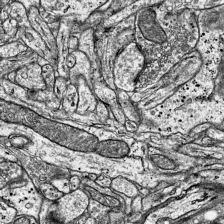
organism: Mouse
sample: Visual Cortex